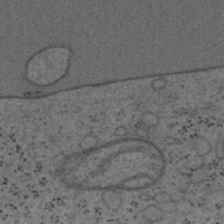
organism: Human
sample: HeLa cells